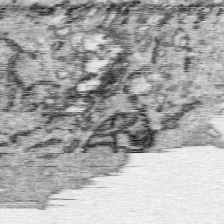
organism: Human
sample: HeLa cells